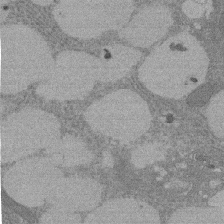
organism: Rat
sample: Salivary granule